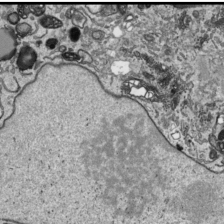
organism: Human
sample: Mitochondria in HCT116 cells